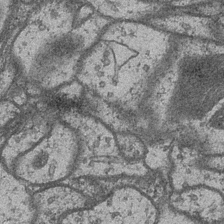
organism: Drosophila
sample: Optic medulla